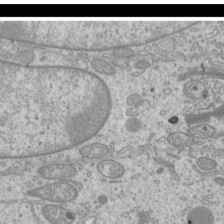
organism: Mouse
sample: Cilia; mouse epididymis